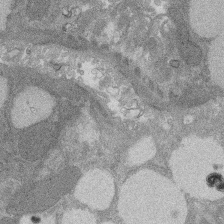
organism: Rat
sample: Salivary granule